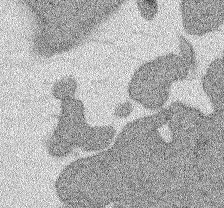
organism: Human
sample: HeLa cells